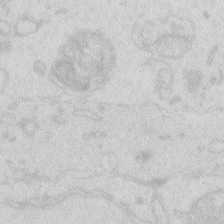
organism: Zebrafish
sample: Macrophage